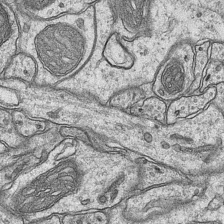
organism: Mouse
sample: CA1 Hippocampus